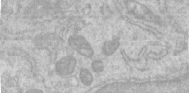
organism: Human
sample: Centriole in RPE cells